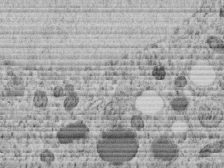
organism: C. elegans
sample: C. elegans embryo early stage